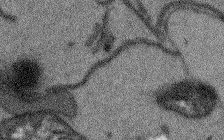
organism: Arabidopsis thaliana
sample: Root tip